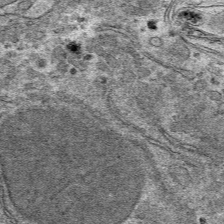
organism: Mouse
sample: Mouse hepatocytes